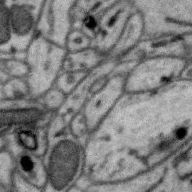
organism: Zebra finch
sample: Brain